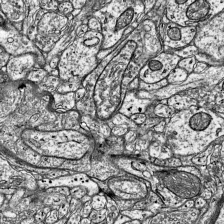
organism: Mouse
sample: Visual Cortex